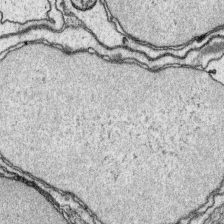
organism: Platynereis dumerilii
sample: Parapodia